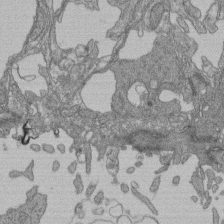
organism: Human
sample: Retinal organoid Rod and Cone cells